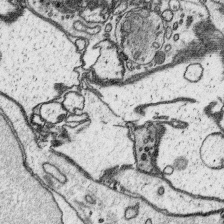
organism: Platynereis dumerilii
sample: Parapodia